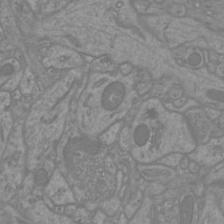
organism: Mouse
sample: Cortical neurons